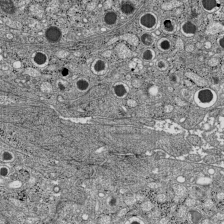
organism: C57BL Mouse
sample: Pancreatic islet